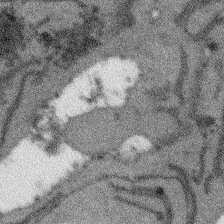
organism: Arabidopsis thaliana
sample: Root tip